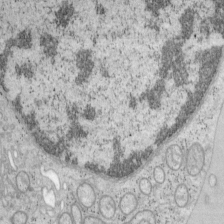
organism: Mouse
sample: OT-I killer T cells with ID8 ovarian cancer cells